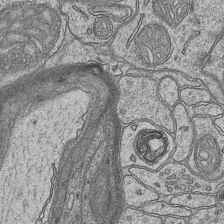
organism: Mouse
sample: CA1 Hippocampus